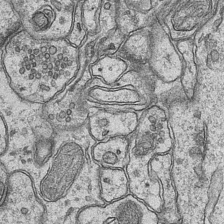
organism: Mouse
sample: CA1 Hippocampus